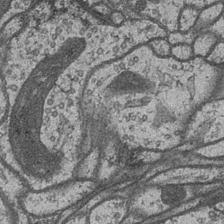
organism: Drosophila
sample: Optic medulla